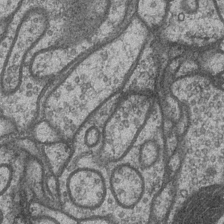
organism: Drosophila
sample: Optic medulla